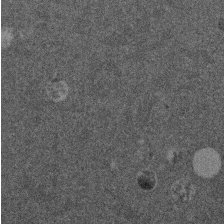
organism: Mouse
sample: Dividing mouse embryo 1 cell stage